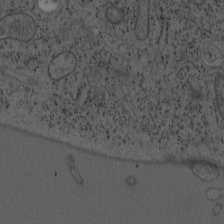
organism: Mouse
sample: OT-I killer T cells with ID8 ovarian cancer cells